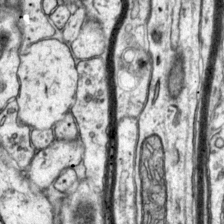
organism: Mouse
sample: Primary visual cortex